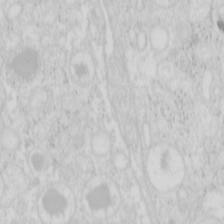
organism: Mouse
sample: Pancreas